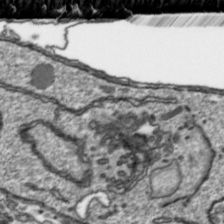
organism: Toxoplasma gondii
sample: Parasites in a vacuole inside a host cell